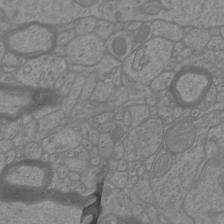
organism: Mouse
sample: Cortical neurons